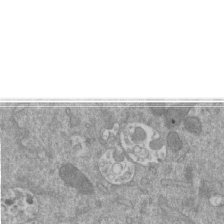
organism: Mouse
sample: ED-1 cell nuclei; centrioles